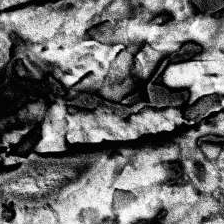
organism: Human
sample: Temporal Lobe